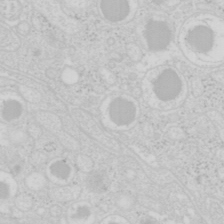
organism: Mouse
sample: Pancreas